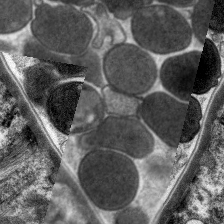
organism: C. elegans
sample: Pharynx